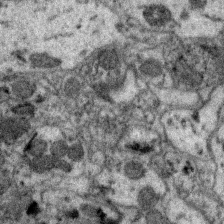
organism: Zebra finch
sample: Brain